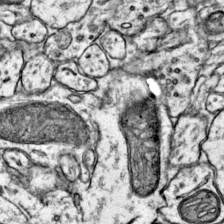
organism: Mouse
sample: Primary visual cortex